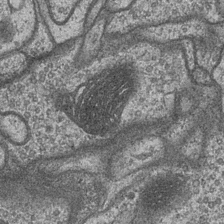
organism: Drosophila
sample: Optic medulla